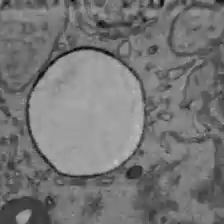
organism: C57BL Mouse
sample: Liver